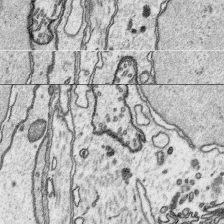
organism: Platynereis dumerilii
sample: Parapodia